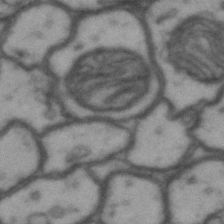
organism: Drosophila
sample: Brain